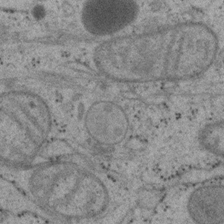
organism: Human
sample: HeLa cells